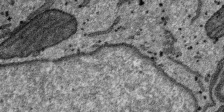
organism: Human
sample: Lung epithelial cells, uninfected (mock) control